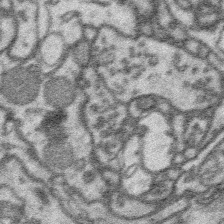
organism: Platynereis dumerilii